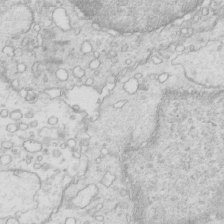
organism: Mouse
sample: Multiciliated cells